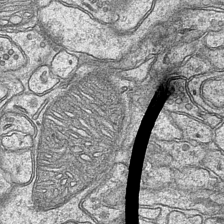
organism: Mouse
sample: CA1 Hippocampus